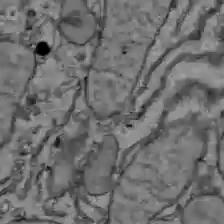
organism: C57BL Mouse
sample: Liver